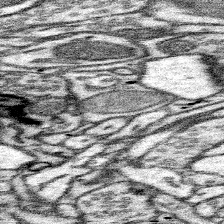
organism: Mouse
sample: Somatosensory cortex neuropil